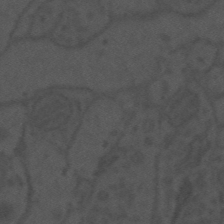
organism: Mouse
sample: Suprachiasmatic nucleus